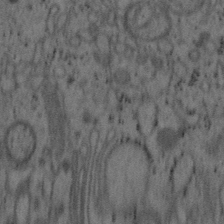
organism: Human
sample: HeLa cells